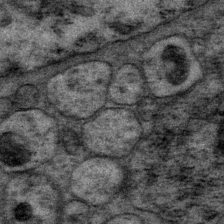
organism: P. pacificus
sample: Pharynx